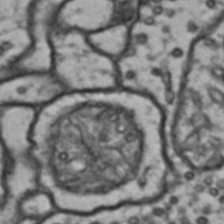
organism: Drosophila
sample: Brain